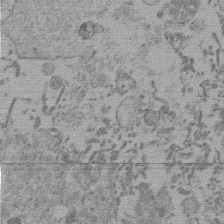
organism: Mouse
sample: Dividing mouse embryo 1 cell stage